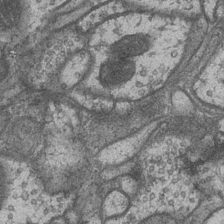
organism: Drosophila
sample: Optic medulla